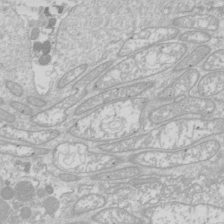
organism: Drosophila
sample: Cell division; meiosis; drosophila spermatocytes